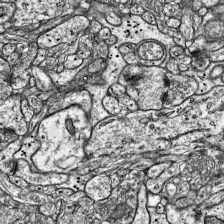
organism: Mouse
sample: Visual Cortex